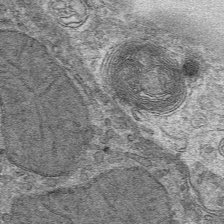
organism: Mouse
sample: Mouse hepatocytes